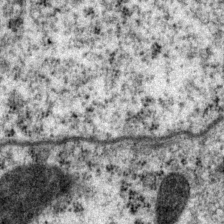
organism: P. pacificus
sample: Pharynx